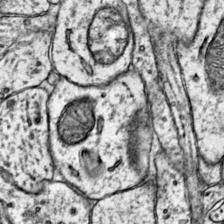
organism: Mouse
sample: Primary visual cortex